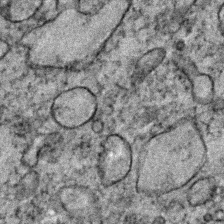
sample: Trachea